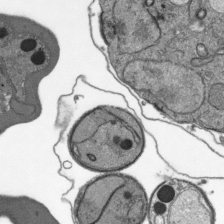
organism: Plasmodium falciparum